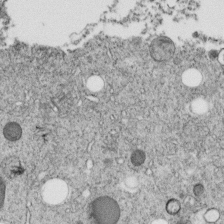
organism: C. elegans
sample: C. elegans embryo early stage